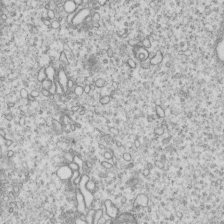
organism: Human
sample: MDA-MB-231 cells